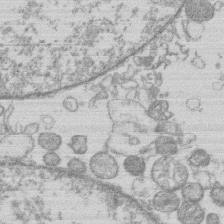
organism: Human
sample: Macrophage cells